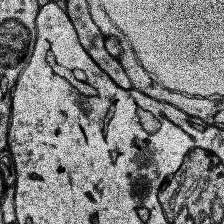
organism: Human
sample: Temporal Lobe